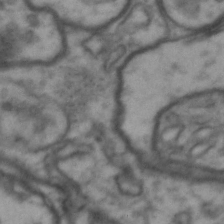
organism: Drosophila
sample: Brain